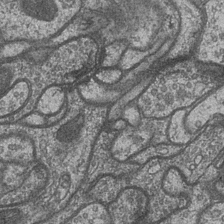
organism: Drosophila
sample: Optic medulla